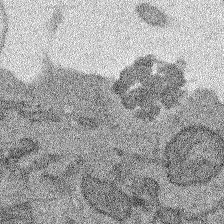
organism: Human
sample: HeLa cells